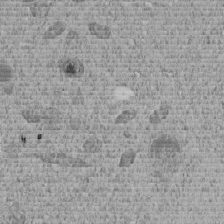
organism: C. elegans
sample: C. elegans embryo early stage